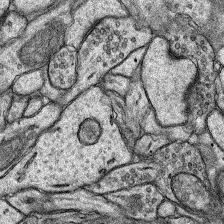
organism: Rat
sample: Hippocampus